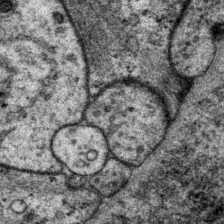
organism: P. pacificus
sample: Pharynx